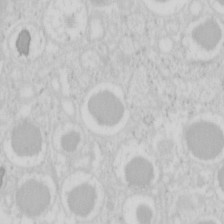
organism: Mouse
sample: Pancreas